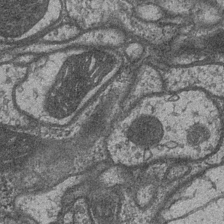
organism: Drosophila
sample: Optic medulla